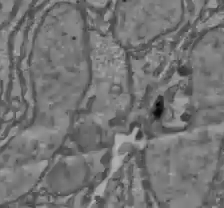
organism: C57BL Mouse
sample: Liver